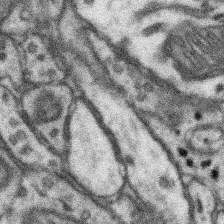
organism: Mouse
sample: Somatosensory cortex neuropil